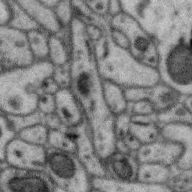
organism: Zebra finch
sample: Brain